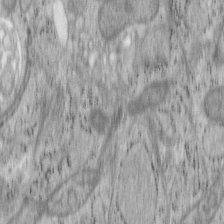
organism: Human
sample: HeLa cells